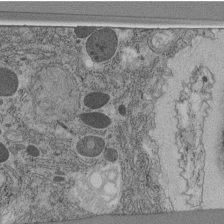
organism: C. elegans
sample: C. elegans pharynx